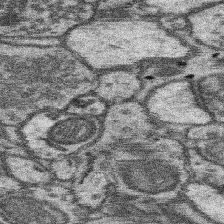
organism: Mouse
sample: Somatosensory cortex neuropil